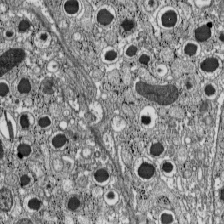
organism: C57BL Mouse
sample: Pancreatic islet